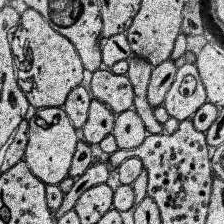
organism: Human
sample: Temporal Lobe